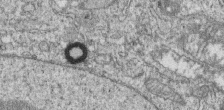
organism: Human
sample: HeLa cell HIV synapse